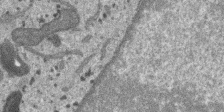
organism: Human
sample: Lung epithelial cells infected with SARS-CoV-2